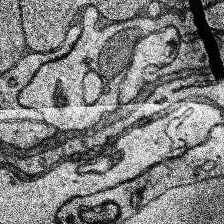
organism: Human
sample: Temporal Lobe